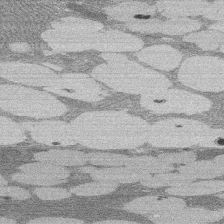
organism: Rat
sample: Salivary granule